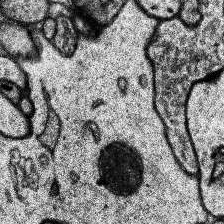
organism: Human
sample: Temporal Lobe